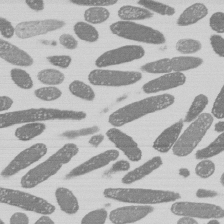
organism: E. coli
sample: Bacterial nucleoid